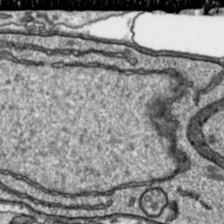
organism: Toxoplasma gondii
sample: Parasites in a vacuole inside a host cell